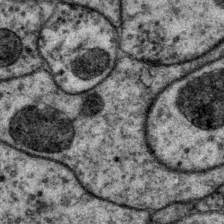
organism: P. pacificus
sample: Pharynx